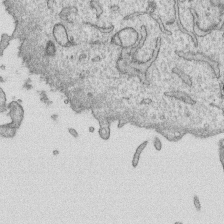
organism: Human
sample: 1205lu cells